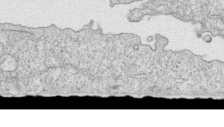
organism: Human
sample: HeLa cell HIV synapse